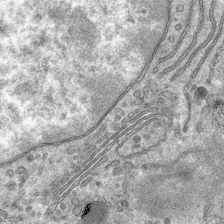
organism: Mouse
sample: Mouse hepatocytes